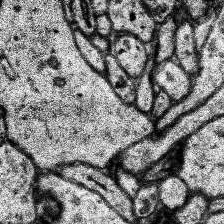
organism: Human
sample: Temporal Lobe